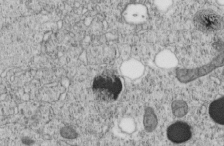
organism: C. elegans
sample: C. elegans embryo early stage